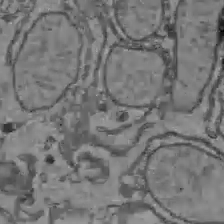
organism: C57BL Mouse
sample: Liver